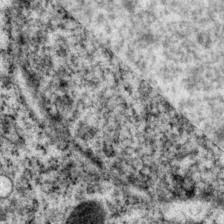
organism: P. pacificus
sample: Pharynx